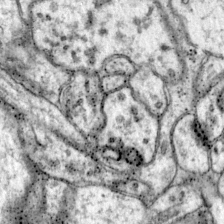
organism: Mouse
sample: Primary visual cortex